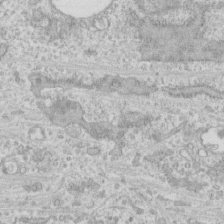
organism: Human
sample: CRL-1474